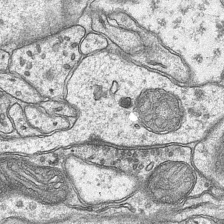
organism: Mouse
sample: CA1 Hippocampus